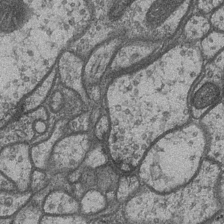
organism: Drosophila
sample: Optic medulla